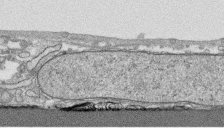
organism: Human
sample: CRL-1474